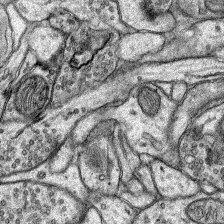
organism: Rat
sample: Hippocampus